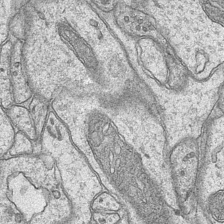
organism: Mouse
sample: CA1 Hippocampus